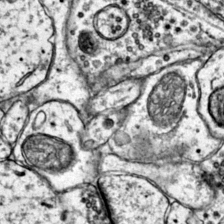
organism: Mouse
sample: Primary visual cortex